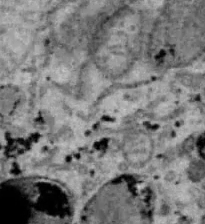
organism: Mouse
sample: Liver from an obese (ob/ob) mouse